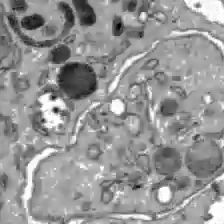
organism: C57BL Mouse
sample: Liver